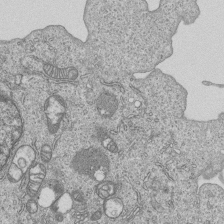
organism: Human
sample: MDA-MB-231 cells